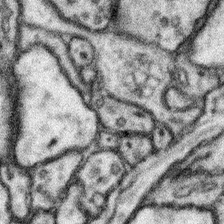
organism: Mouse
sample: Somatosensory cortex neuropil